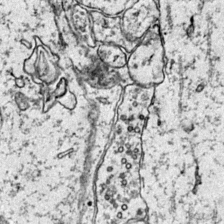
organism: Mouse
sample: Primary visual cortex